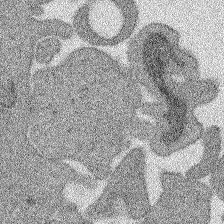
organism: Human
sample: HeLa cells